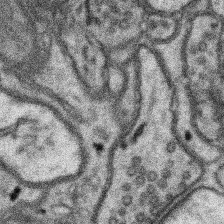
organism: Mouse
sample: Somatosensory cortex neuropil